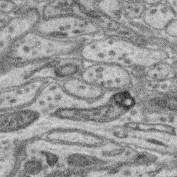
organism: Mouse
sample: Retina